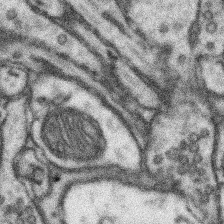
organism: Mouse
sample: Somatosensory cortex neuropil